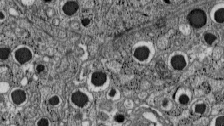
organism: C57BL Mouse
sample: Pancreatic islet